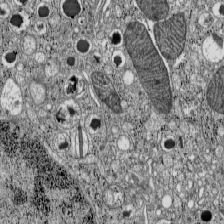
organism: C57BL Mouse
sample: Pancreatic islet